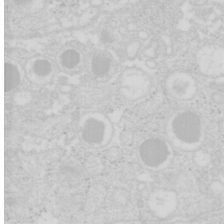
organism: Mouse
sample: Pancreas